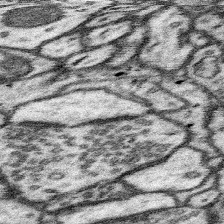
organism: Mouse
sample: Somatosensory cortex neuropil